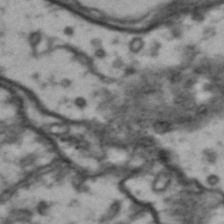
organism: Drosophila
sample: Brain